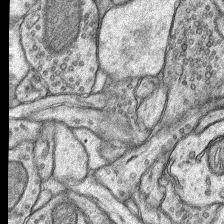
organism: Rat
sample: Hippocampus